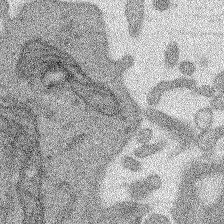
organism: Human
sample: HeLa cells